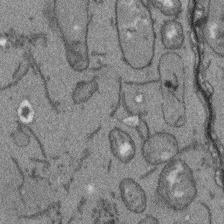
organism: Arabidopsis thaliana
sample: Root tip